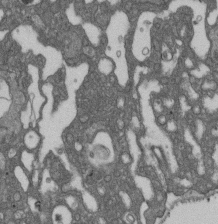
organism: Drosophila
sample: Nephrocyte